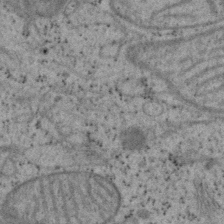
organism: Human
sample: HeLa cells